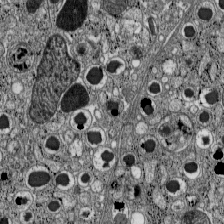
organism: C57BL Mouse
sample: Pancreatic islet